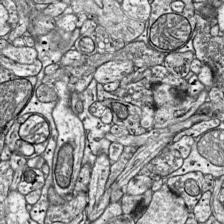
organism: Mouse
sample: Visual Cortex